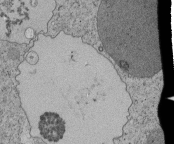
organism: Tetrahymena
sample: Cilia in tetrahymena